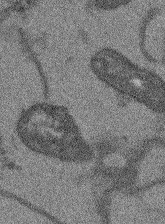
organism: Arabidopsis thaliana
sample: Root tip